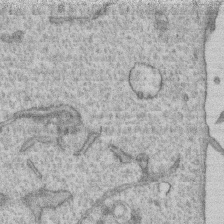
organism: Human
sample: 1205lu cells